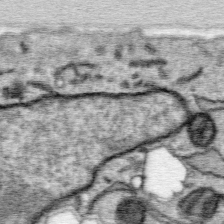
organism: Human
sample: HeLa cells